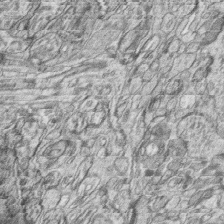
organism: Zebrafish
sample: synaptic ribbons in rod cells and cone cells